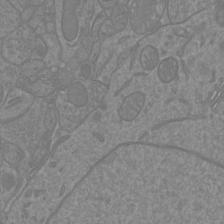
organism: Mouse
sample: Cortical neurons